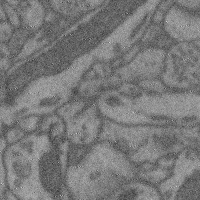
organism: Mouse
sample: Cerebral cortex